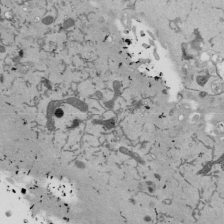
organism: Mouse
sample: ED-1 cell nuclei; centrioles